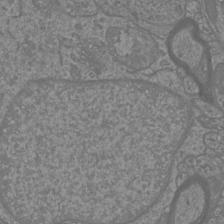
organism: Mouse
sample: Cortical neurons